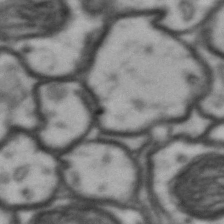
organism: Drosophila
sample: Brain